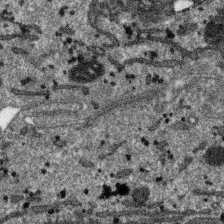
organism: Human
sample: Lung epithelial cells infected with SARS-CoV-2